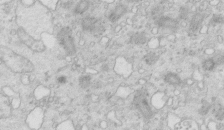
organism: Mouse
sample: Multiciliated cells